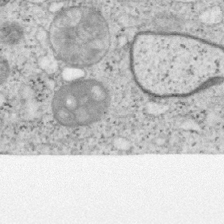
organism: Mouse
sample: OT-I killer T cells with ID8 ovarian cancer cells